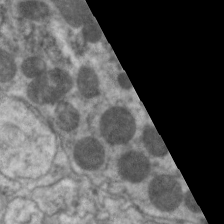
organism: C. elegans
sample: Pharynx